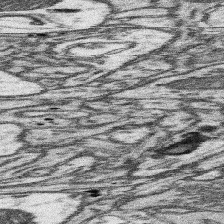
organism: Mouse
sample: Somatosensory cortex neuropil